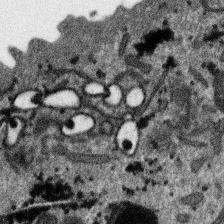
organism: Human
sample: Lung epithelial cells infected with SARS-CoV-2